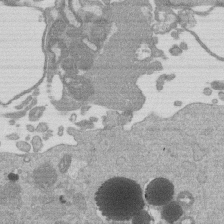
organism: Mouse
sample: Dividing mouse embryo 1 cell stage